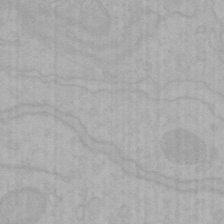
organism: Mouse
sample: Choroid plexus